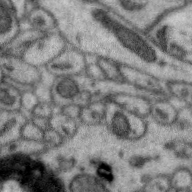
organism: Zebra finch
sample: Brain